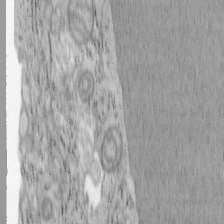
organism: Human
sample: HeLa cells